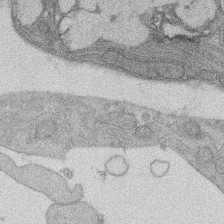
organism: Rat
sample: Salivary granule